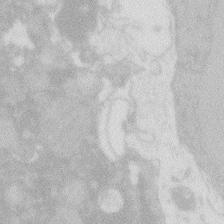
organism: Zebrafish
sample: Macrophage